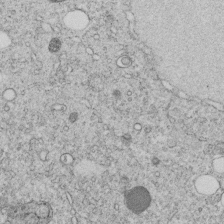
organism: C. elegans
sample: C. elegans embryo early stage